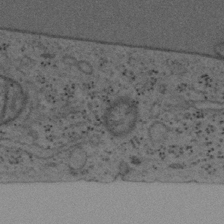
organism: Human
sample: HeLa cells